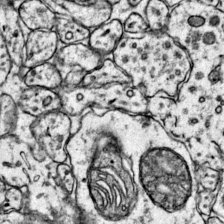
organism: Mouse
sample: Primary visual cortex